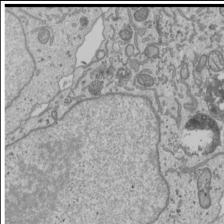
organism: Human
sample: Mitochondria in U2OS cells